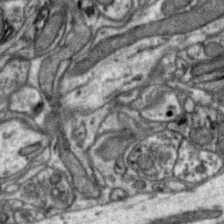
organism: Zebra finch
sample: Brain